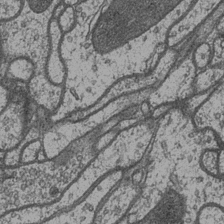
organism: Drosophila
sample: Optic medulla